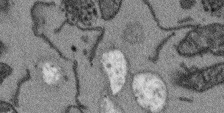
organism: Arabidopsis thaliana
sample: Root tip